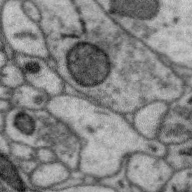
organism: Zebra finch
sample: Brain